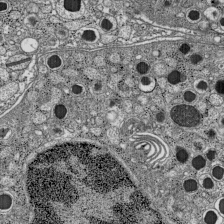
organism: C57BL Mouse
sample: Pancreatic islet